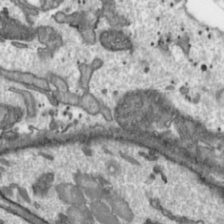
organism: Toxoplasma gondii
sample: Parasites in a vacuole inside a host cell